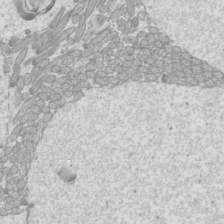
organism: Mouse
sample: Cilia; mouse epididymis